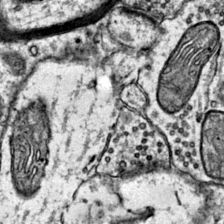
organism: Mouse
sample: Primary visual cortex